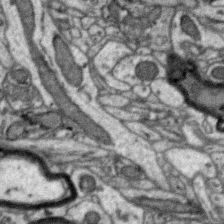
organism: Zebra finch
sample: Brain